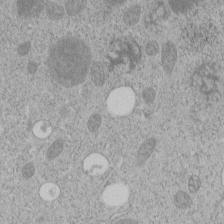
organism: C. elegans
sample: C. elegans embryo early stage